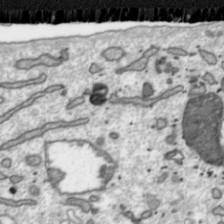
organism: Toxoplasma gondii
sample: Parasites in a vacuole inside a host cell